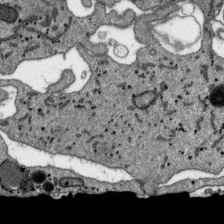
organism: Human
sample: Lung epithelial cells, uninfected (mock) control